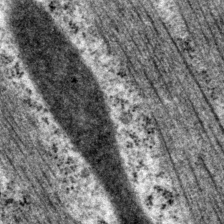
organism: P. pacificus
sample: Pharynx